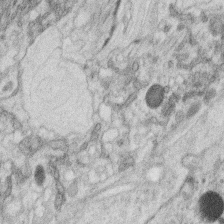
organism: C. elegans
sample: C. elegans oocyte; sperm cells